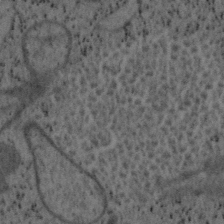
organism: Human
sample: HeLa cells